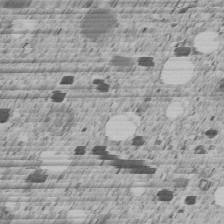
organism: C. elegans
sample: C. elegans embryo early stage